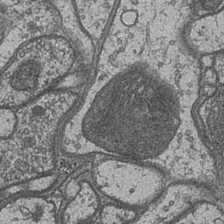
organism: Drosophila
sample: Optic medulla